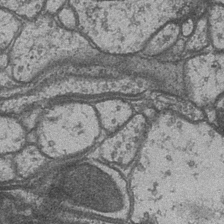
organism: Drosophila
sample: Optic medulla